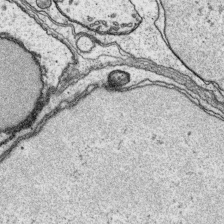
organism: Platynereis dumerilii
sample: Parapodia